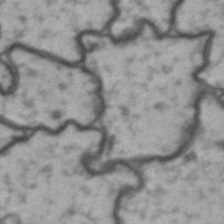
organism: Drosophila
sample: Brain